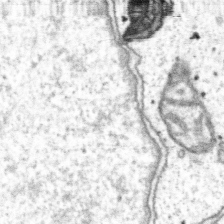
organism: Human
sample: HeLa cells